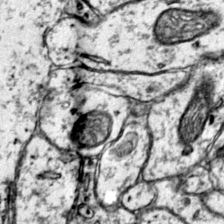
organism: Mouse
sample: Primary visual cortex